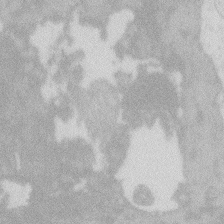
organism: Zebrafish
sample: Macrophage